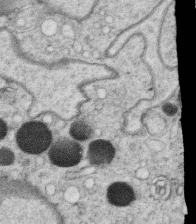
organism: C. elegans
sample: C. elegans oocyte; sperm cells